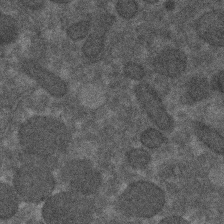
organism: C. elegans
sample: C. elegans embryo